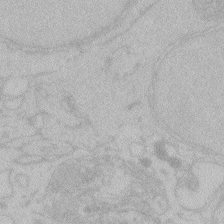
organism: Zebrafish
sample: Macrophage infected with Toxoplasma gondii